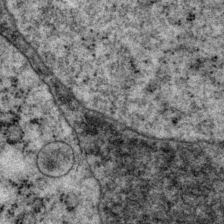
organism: P. pacificus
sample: Pharynx